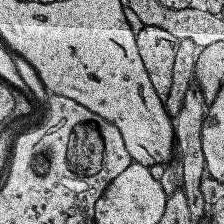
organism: Human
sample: Temporal Lobe